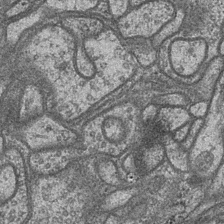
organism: Drosophila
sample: Optic medulla